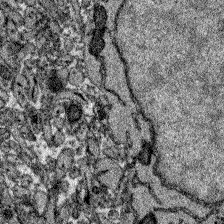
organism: Zebrafish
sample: Larval olfactory bulb